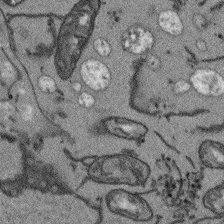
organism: Arabidopsis thaliana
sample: Root tip